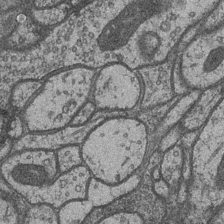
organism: Drosophila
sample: Optic medulla